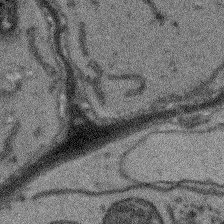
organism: Arabidopsis thaliana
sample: Root tip